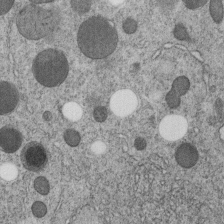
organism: C. elegans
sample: C. elegans embryo early stage